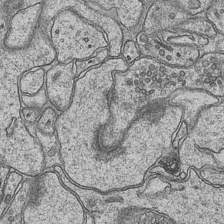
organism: Mouse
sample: CA1 Hippocampus